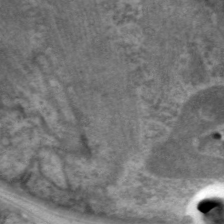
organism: C. elegans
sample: Pharynx